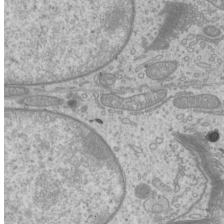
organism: Mouse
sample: Cilia; mouse epididymis